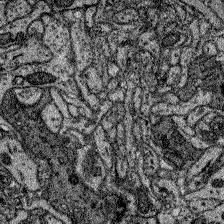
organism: Zebrafish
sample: Larval olfactory bulb